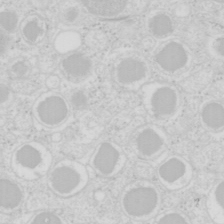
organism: Mouse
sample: Pancreas